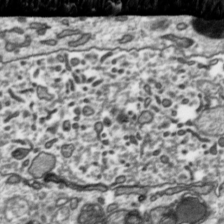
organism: Toxoplasma gondii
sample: Parasites in a vacuole inside a host cell